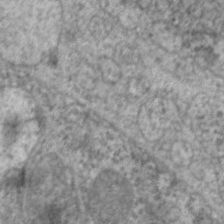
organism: C. elegans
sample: Pharynx